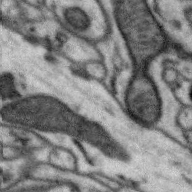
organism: Zebra finch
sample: Brain